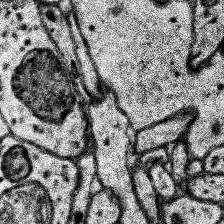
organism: Human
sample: Temporal Lobe